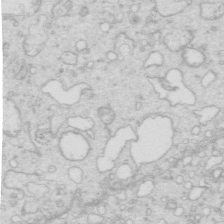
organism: Mouse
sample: Multiciliated cells